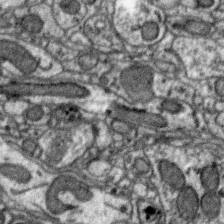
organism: Zebra finch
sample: Brain